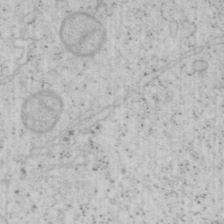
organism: Human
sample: HeLa cells